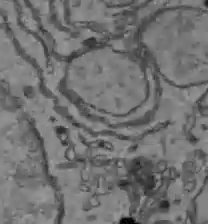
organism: C57BL Mouse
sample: Liver